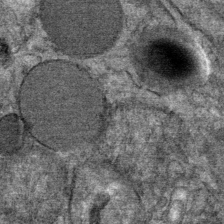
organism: Mouse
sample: Mouse Salivary gland